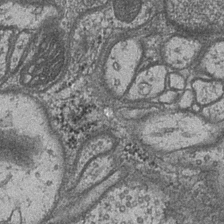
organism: Drosophila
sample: Optic medulla